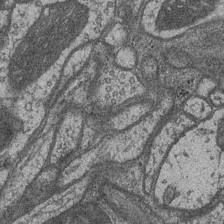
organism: Drosophila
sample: Optic medulla